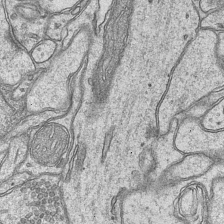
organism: Mouse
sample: CA1 Hippocampus